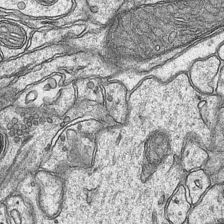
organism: Mouse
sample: CA1 Hippocampus